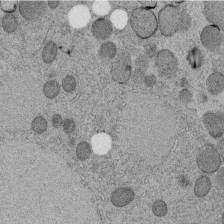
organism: C. elegans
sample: C. elegans embryo early stage